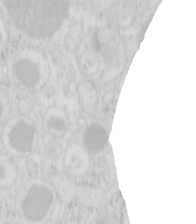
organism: Mouse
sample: Pancreas